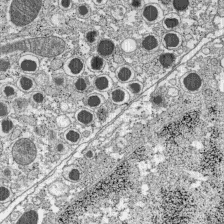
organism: C57BL Mouse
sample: Pancreatic islet